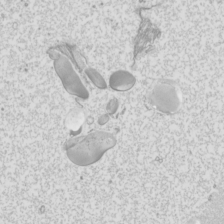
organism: Mouse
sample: Cilia; mouse epididymis